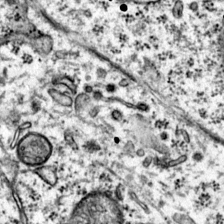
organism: Mouse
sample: Primary visual cortex